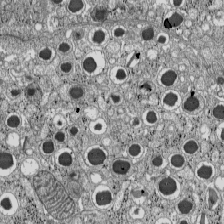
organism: C57BL Mouse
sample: Pancreatic islet